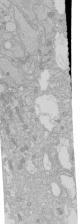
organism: Human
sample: Caco-2 cells